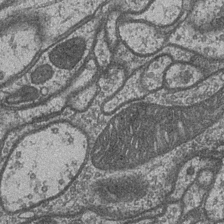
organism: Drosophila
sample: Optic medulla